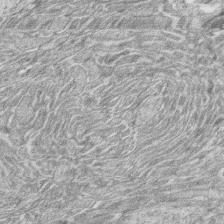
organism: Zebrafish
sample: synaptic ribbons in rod cells and cone cells